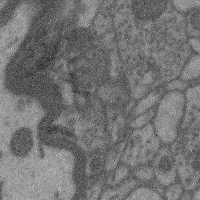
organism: Mouse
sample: Cerebral cortex